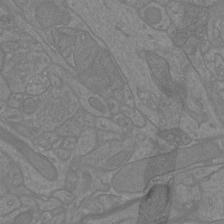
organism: Mouse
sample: Cortical neurons